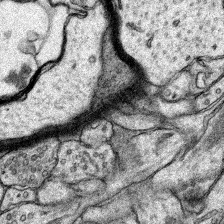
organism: Rat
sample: Hippocampus